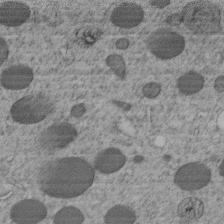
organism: C. elegans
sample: C. elegans embryo early stage